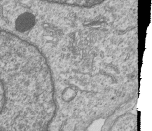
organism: Human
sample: MDA-MB-231 cells